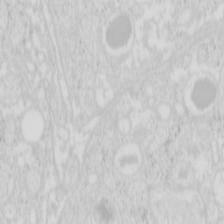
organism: Mouse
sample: Pancreas